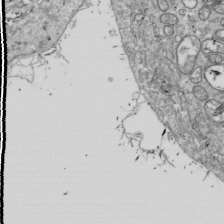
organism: Drosophila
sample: Cell division; meiosis; drosophila spermatocytes